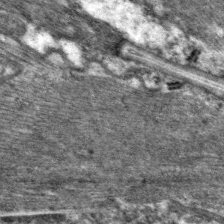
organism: C. elegans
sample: Pharynx